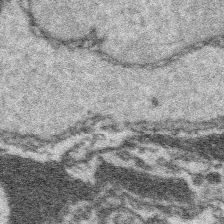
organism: Platynereis dumerilii